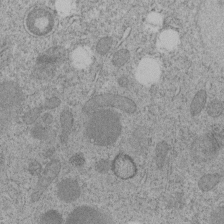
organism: C. elegans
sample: C. elegans embryo early stage